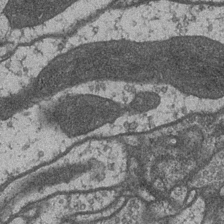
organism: Drosophila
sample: Optic medulla